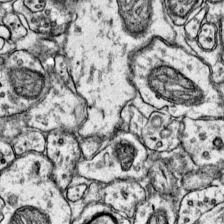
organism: Mouse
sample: Primary visual cortex